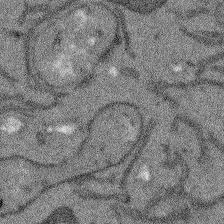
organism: Arabidopsis thaliana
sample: Root tip